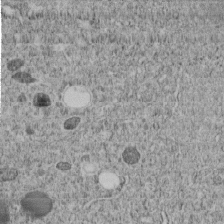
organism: C. elegans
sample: C. elegans embryo early stage